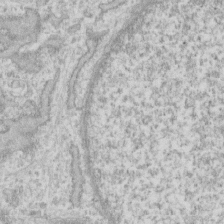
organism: Human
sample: Fibroblast cells